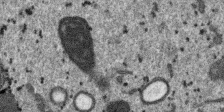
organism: Human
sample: Lung epithelial cells infected with SARS-CoV-2